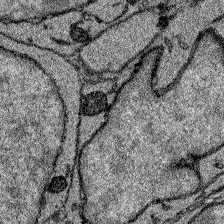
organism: Zebrafish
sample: Larval olfactory bulb